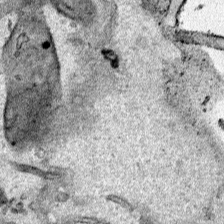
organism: Human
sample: Mitochondria in HCT116 cells